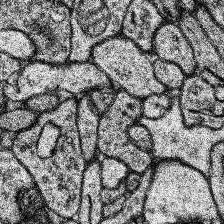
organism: Human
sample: Temporal Lobe